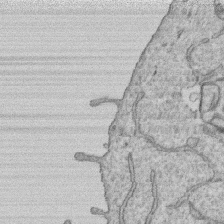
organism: Human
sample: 1205lu cells